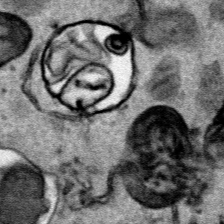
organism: Human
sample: Mitochondria in HCT116 cells